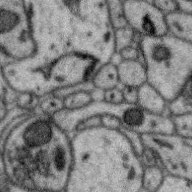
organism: Zebra finch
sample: Brain